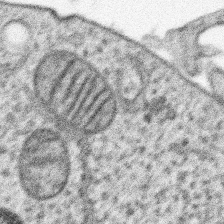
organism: Human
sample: HeLa cells